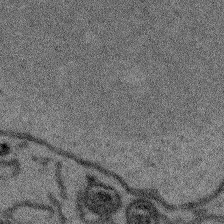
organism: Arabidopsis thaliana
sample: Root tip